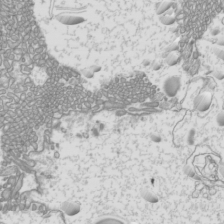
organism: Mouse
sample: Cilia; mouse epididymis